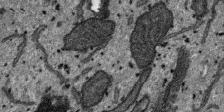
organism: Human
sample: Lung epithelial cells, uninfected (mock) control